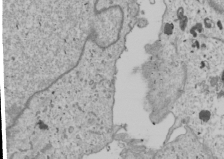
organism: Human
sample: Mitochondria in U2OS cells